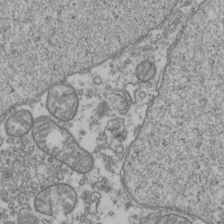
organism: Human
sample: Activated Jurkat CD4+ T cells